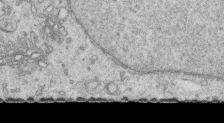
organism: Human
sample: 1205lu cells